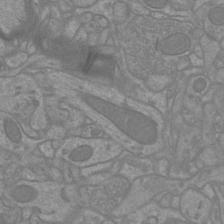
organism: Mouse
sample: Cortical neurons